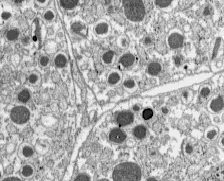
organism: C57BL Mouse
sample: Pancreatic islet